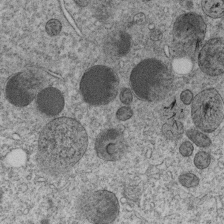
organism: C. elegans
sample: C. elegans embryo early stage